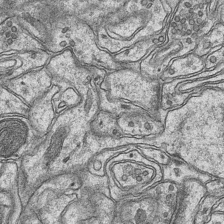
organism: Mouse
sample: CA1 Hippocampus